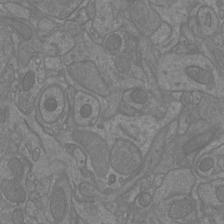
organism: Mouse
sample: Cortical neurons